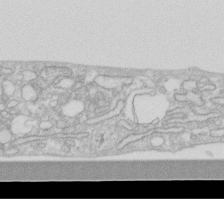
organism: Human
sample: Fibroblast cells